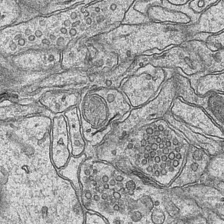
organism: Mouse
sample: CA1 Hippocampus